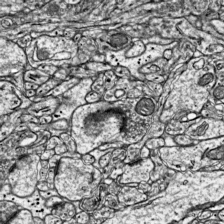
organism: Mouse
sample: Visual Cortex